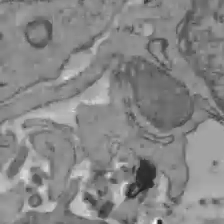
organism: C57BL Mouse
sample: Liver